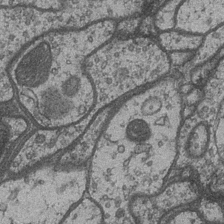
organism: Drosophila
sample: Optic medulla